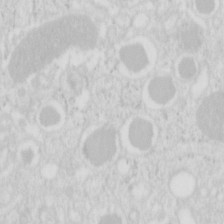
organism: Mouse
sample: Pancreas